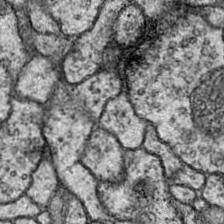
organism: Drosophila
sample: Ventral Nerve Cord